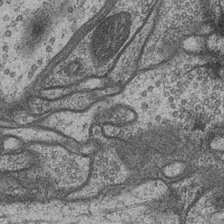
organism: Drosophila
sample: Optic medulla